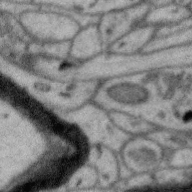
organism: Zebra finch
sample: Brain